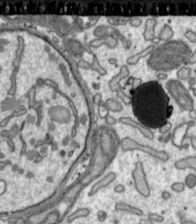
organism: Toxoplasma gondii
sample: Parasites in a vacuole inside a host cell